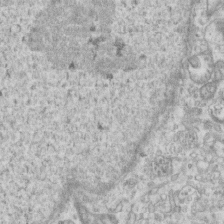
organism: Mouse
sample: Centriole in ependymal cells